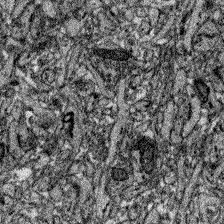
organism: Zebrafish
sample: Larval olfactory bulb